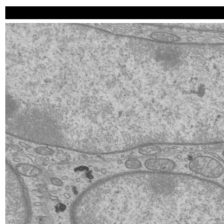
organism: Mouse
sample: Cilia; mouse epididymis